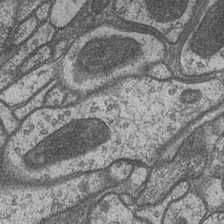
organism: Drosophila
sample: Optic medulla